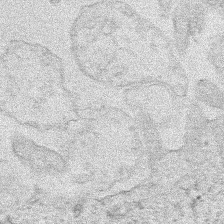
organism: Human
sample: Mitochondria in HCT116 cells